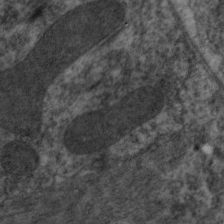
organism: C. elegans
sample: Pharynx